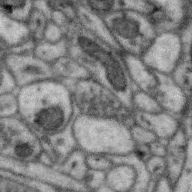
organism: Zebra finch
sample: Brain